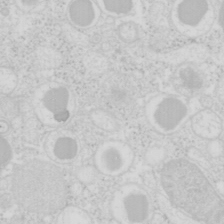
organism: Mouse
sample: Pancreas